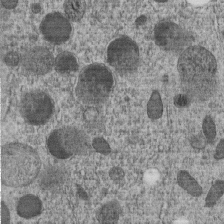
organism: C. elegans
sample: C. elegans embryo early stage